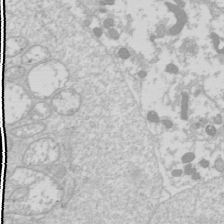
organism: Drosophila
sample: Cell division; meiosis; drosophila spermatocytes